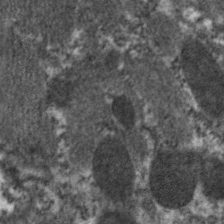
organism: C. elegans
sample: Pharynx